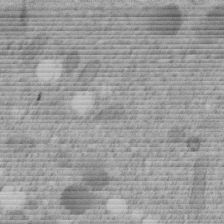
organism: C. elegans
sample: C. elegans embryo early stage